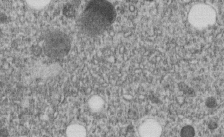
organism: C. elegans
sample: C. elegans embryo early stage